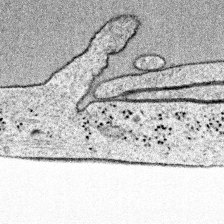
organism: Human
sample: HeLa cells